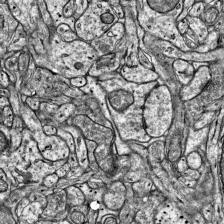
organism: Mouse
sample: Visual Cortex